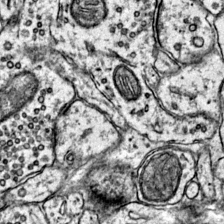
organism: Mouse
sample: Primary visual cortex